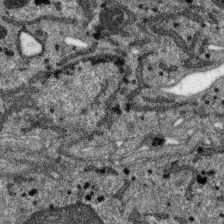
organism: Human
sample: Lung epithelial cells infected with SARS-CoV-2